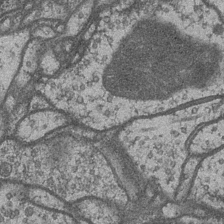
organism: Drosophila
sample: Optic medulla